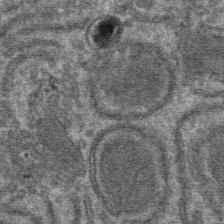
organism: Mouse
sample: Mouse hepatocytes